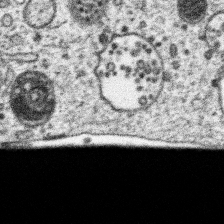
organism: Human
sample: HeLa cells